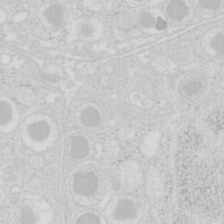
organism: Mouse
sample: Pancreas